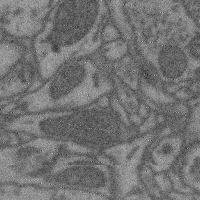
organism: Mouse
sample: Cerebral cortex